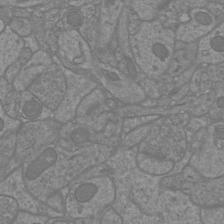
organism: Mouse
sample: Cortical neurons